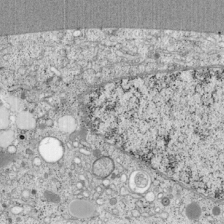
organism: African green monkey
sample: COS-7 cells